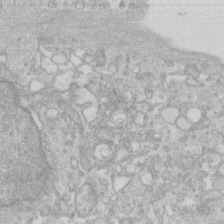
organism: Human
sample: Fibroblast cells